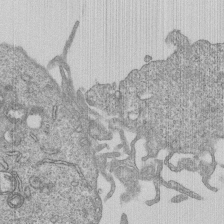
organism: Human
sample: MDA-MB-231 cells